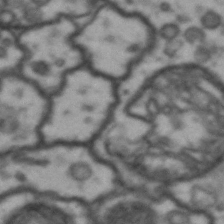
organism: Drosophila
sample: Brain